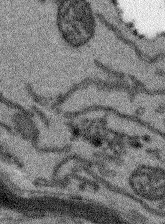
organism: Arabidopsis thaliana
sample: Root tip